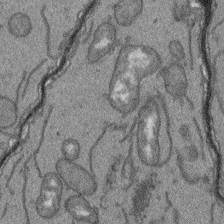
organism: Arabidopsis thaliana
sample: Root tip